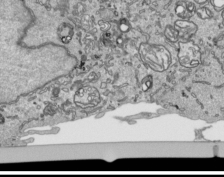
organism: Human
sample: Mitochondria in HCT116 cells